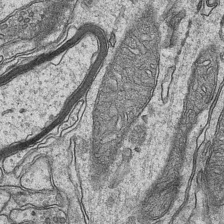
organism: Mouse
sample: CA1 Hippocampus